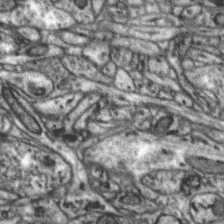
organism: Zebra finch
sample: Brain